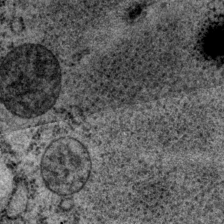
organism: P. pacificus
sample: Pharynx